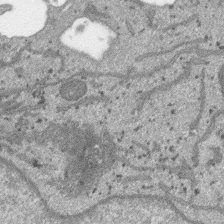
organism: Human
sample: Lung epithelial cells infected with SARS-CoV-2